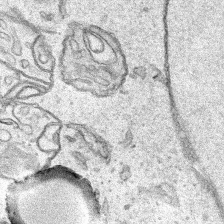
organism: Human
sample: Mitochondria in HCT116 cells